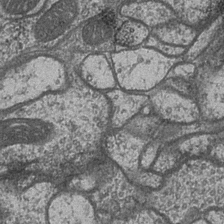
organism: Drosophila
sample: Optic medulla